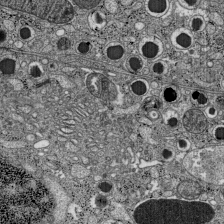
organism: C57BL Mouse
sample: Pancreatic islet